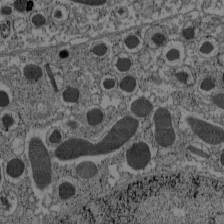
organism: C57BL Mouse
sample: Pancreatic islet